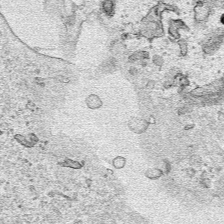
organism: Human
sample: Mitochondria in HCT116 cells